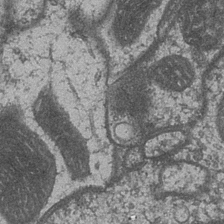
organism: Drosophila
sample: Optic medulla